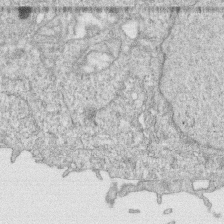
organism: Human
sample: HeLa cell HIV synapse